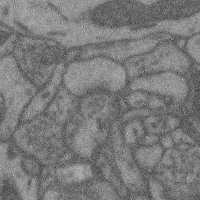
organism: Mouse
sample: Cerebral cortex